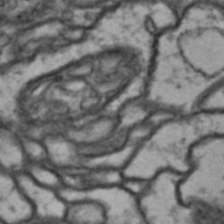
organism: Drosophila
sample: Brain